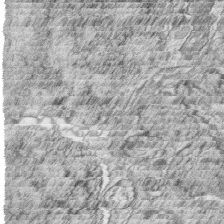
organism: Zebrafish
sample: synaptic ribbons in rod cells and cone cells